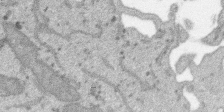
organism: Human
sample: Lung epithelial cells infected with SARS-CoV-2